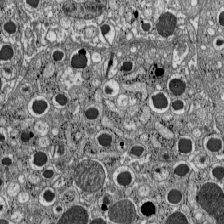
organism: C57BL Mouse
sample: Pancreatic islet